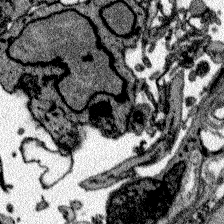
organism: Zebrafish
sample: Larval olfactory bulb